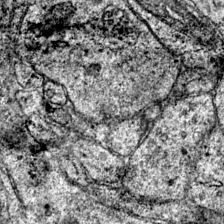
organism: Mouse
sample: Primary visual cortex